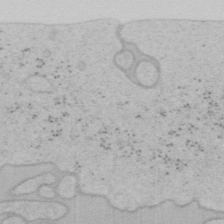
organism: Human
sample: HeLa cells